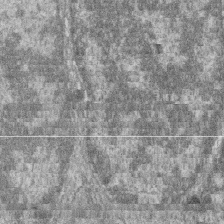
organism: Zebrafish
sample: Cilia; retinal pigment epithelium